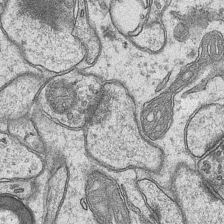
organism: Mouse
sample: CA1 Hippocampus